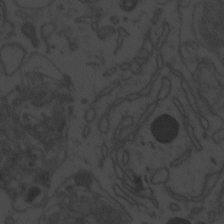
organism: Zebrafish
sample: Macrophage infected with Toxoplasma gondii